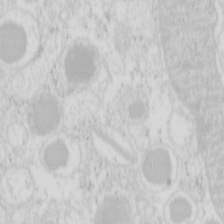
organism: Mouse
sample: Pancreas